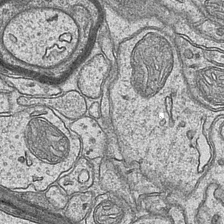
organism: Mouse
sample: CA1 Hippocampus